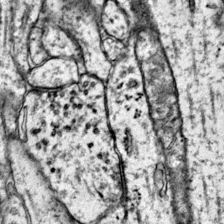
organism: Mouse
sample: Primary visual cortex